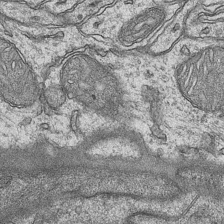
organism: Mouse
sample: CA1 Hippocampus